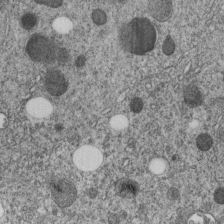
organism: C. elegans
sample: C. elegans embryo early stage